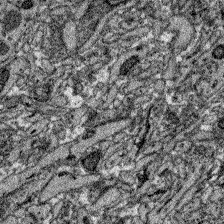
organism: Zebrafish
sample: Larval olfactory bulb